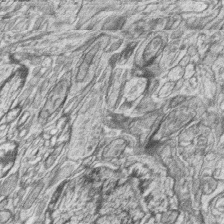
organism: Zebrafish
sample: synaptic ribbons in rod cells and cone cells